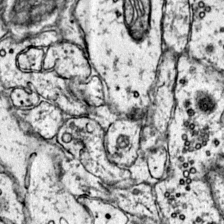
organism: Mouse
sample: Primary visual cortex